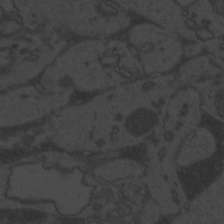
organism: Zebrafish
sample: Macrophage infected with Toxoplasma gondii